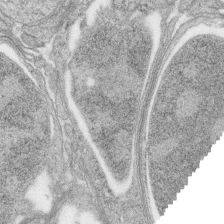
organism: Zebrafish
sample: synaptic ribbons in rod cells and cone cells